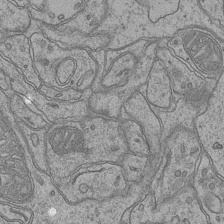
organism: Mouse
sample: CA1 Hippocampus